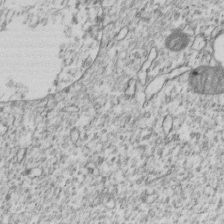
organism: Human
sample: MDA-MB-231 cells